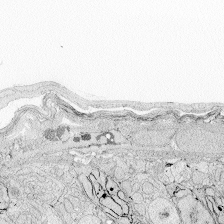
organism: Zebrafish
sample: Whole-Brain